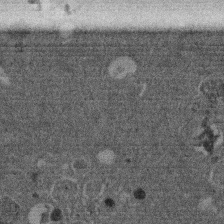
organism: Mouse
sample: Dividing mouse embryo 1 cell stage